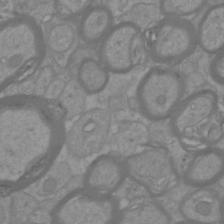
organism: Mouse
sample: Cortical neurons